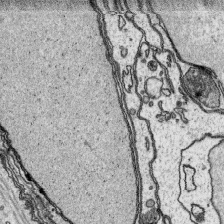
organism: Platynereis dumerilii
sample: Parapodia